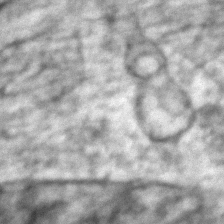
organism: Zebrafish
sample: Zebrafish embryo